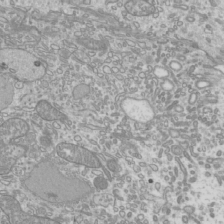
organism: Mouse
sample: Cilia; mouse epididymis